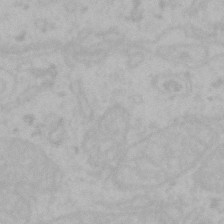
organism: Mouse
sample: Choroid plexus